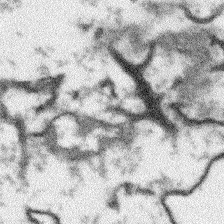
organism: Arabidopsis thaliana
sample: Root tip